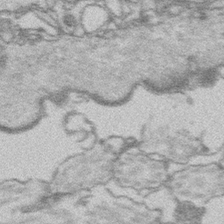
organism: Platynereis dumerilii